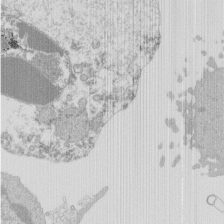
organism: Mouse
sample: Activated Pmel transgenic CD8+ T Cells